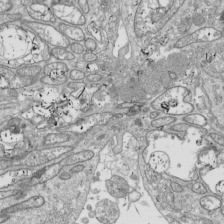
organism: Drosophila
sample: Cell division; meiosis; drosophila spermatocytes